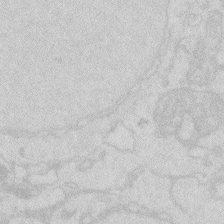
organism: Zebrafish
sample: Macrophage